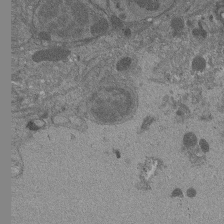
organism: Drosophila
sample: Antenna